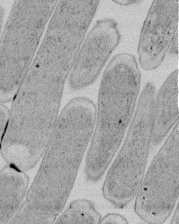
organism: E. coli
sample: Bacterial nucleoid